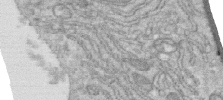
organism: Human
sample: Centriole in RPE cells